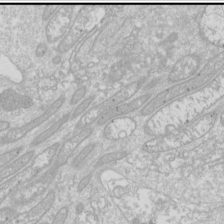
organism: Drosophila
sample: Cell division; meiosis; drosophila spermatocytes